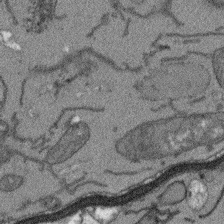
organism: Arabidopsis thaliana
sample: Root tip